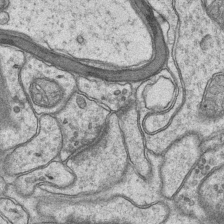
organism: Mouse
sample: CA1 Hippocampus